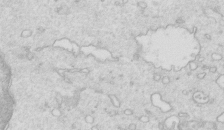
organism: Mouse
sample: Multiciliated cells